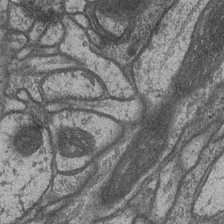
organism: Drosophila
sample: Optic medulla